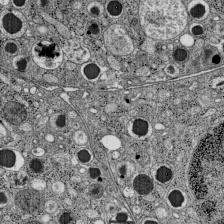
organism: C57BL Mouse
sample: Pancreatic islet